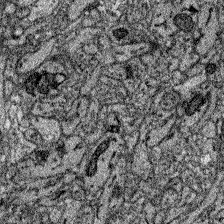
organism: Zebrafish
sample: Larval olfactory bulb